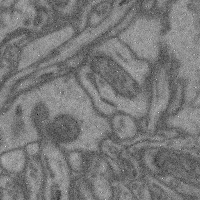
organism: Mouse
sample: Cerebral cortex